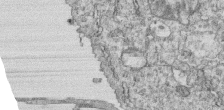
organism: Human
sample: HeLa cell HIV synapse